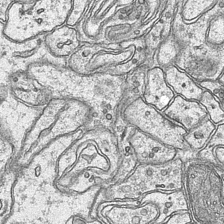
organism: Mouse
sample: CA1 Hippocampus